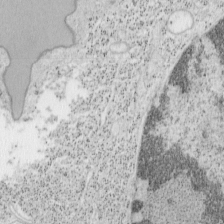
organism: Mouse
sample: OT-I killer T cells with ID8 ovarian cancer cells